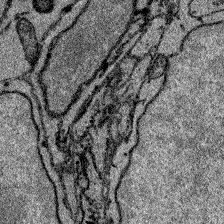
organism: Zebrafish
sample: Larval olfactory bulb